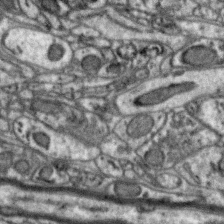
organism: Zebra finch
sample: Brain